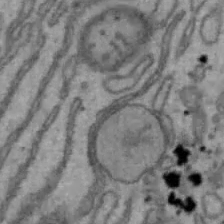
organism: Mouse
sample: Liver